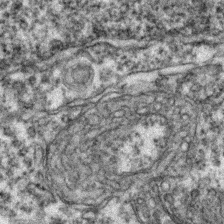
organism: Zebrafish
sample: Zebrafish embryo